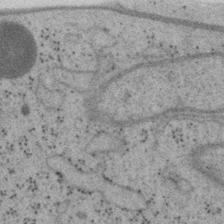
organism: Human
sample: HeLa cells